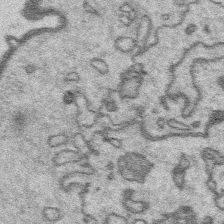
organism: Platynereis dumerilii